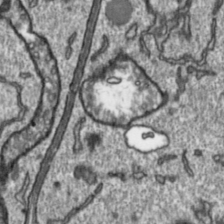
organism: Toxoplasma gondii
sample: Parasites in a vacuole inside a host cell